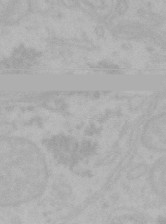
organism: Mouse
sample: Choroid plexus